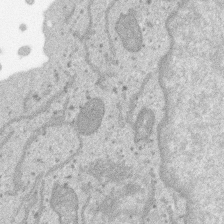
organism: Human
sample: Lung epithelial cells infected with SARS-CoV-2